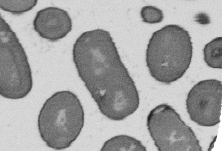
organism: B. subtilis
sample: Bacterial spore